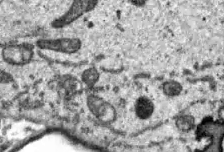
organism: Human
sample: HeLa cells